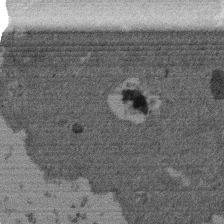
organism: Mouse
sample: Dividing mouse embryo 1 cell stage